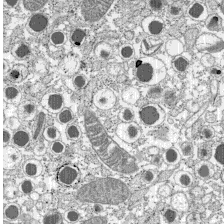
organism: C57BL Mouse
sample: Pancreatic islet